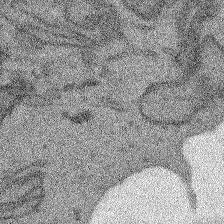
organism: Human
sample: HeLa cells